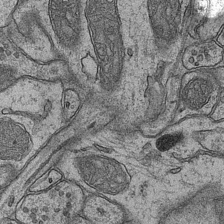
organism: Mouse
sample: CA1 Hippocampus